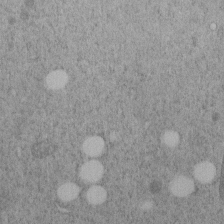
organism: C. elegans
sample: C. elegans embryo early stage